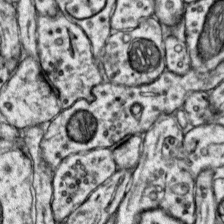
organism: Mouse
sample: Primary visual cortex